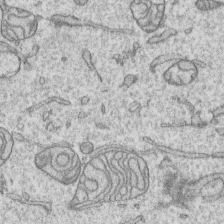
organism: Human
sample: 1205lu cells